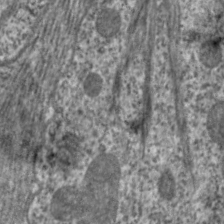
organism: C. elegans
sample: Pharynx